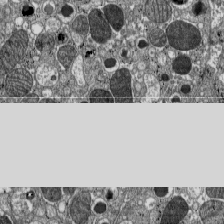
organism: C57BL Mouse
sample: Pancreatic islet